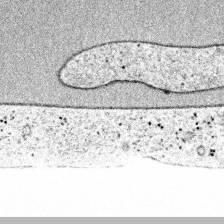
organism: Human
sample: HeLa cells